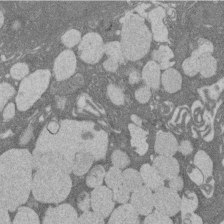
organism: Rat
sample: Salivary granule